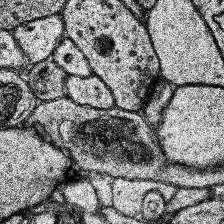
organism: Human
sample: Temporal Lobe